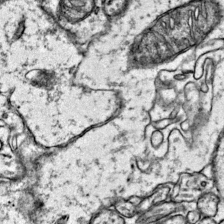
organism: Mouse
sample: Primary visual cortex